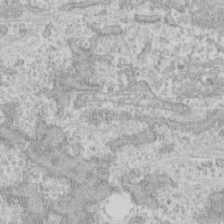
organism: Human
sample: CRL-1474